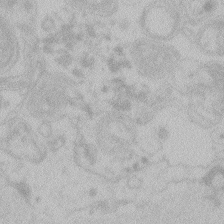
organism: Zebrafish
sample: Macrophage infected with Toxoplasma gondii